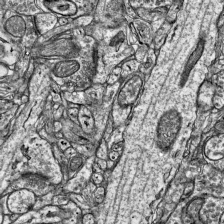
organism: Mouse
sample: Visual Cortex